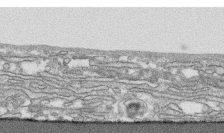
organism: Human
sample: CRL-1474